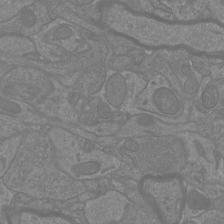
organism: Mouse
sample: Cortical neurons